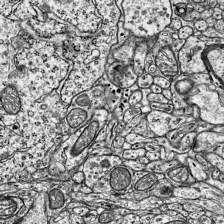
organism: Mouse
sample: Visual Cortex